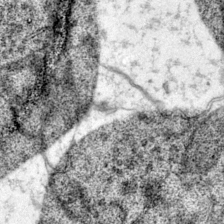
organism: Mouse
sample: Primary visual cortex